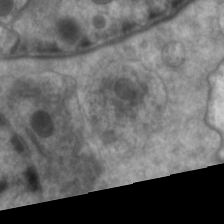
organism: C. elegans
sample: Pharynx